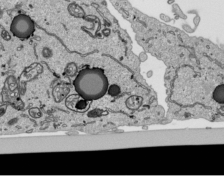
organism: Human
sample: Mitochondria in HCT116 cells